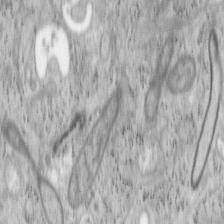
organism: Human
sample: HeLa cells